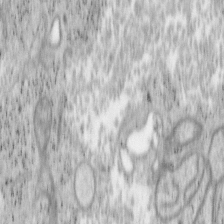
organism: Human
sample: HeLa cells